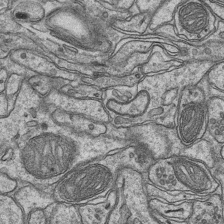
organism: Mouse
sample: CA1 Hippocampus